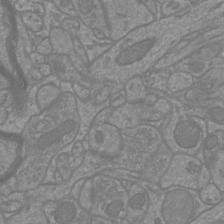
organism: Mouse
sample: Cortical neurons